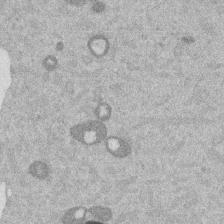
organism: Mouse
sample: Dividing mouse embryo 1 cell stage